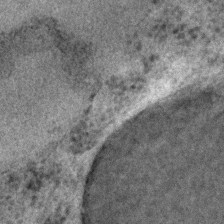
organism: C. elegans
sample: C. elegans embryo